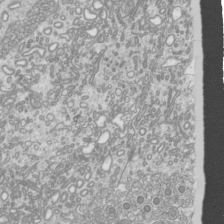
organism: Mouse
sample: Cilia; mouse epididymis